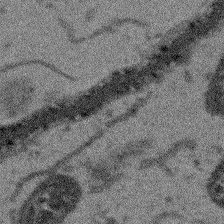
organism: Arabidopsis thaliana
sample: Root tip